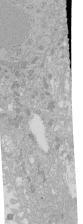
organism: Human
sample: Caco-2 cells